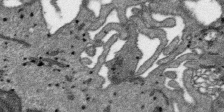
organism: Human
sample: Lung epithelial cells, uninfected (mock) control